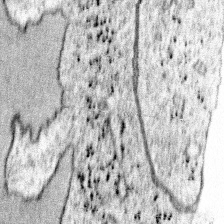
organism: Human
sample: HeLa cells